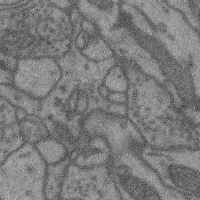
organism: Mouse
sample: Cerebral cortex